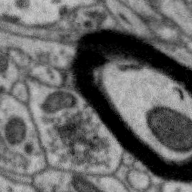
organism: Zebra finch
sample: Brain